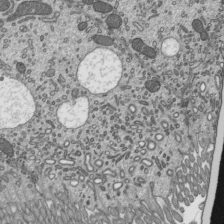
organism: Mouse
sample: Mouse epididymis efferent ductule cilia